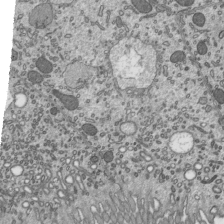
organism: Mouse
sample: Mouse epididymis efferent ductule cilia